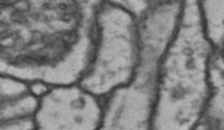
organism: Drosophila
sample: Brain